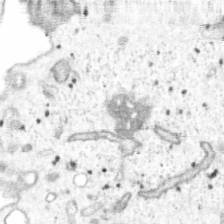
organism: Human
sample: HeLa cells